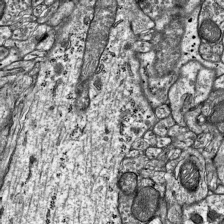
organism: Mouse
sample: Visual Cortex